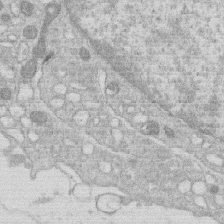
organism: Human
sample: Macrophage cells